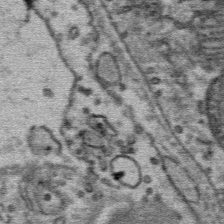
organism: Mouse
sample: Mouse Salivary gland